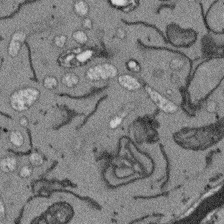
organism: Arabidopsis thaliana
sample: Root tip